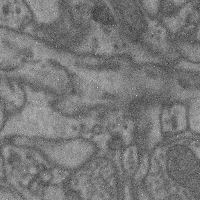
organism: Mouse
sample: Cerebral cortex